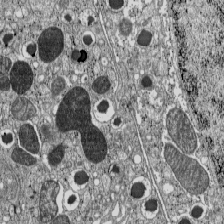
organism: C57BL Mouse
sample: Pancreatic islet